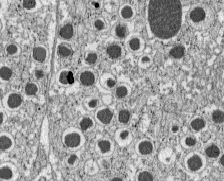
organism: C57BL Mouse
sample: Pancreatic islet